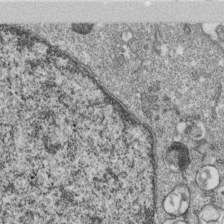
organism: African green monkey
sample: Vero E6 cells infected with SARS-CoV-2